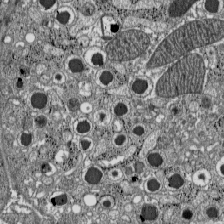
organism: C57BL Mouse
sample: Pancreatic islet